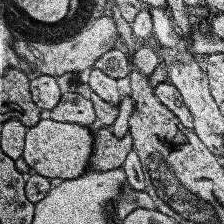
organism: Human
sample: Temporal Lobe